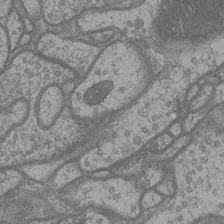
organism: Drosophila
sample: Optic medulla